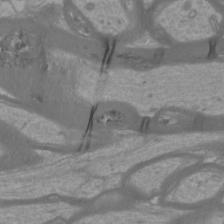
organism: Mouse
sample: Cortical neurons